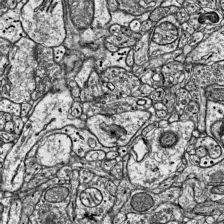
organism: Mouse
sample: Visual Cortex